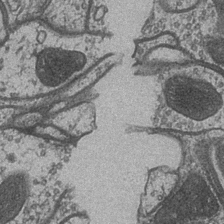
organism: Drosophila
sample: Optic medulla